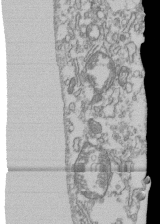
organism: Human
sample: Fibroblast cells